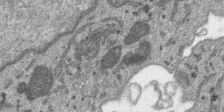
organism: Human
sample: Lung epithelial cells infected with SARS-CoV-2